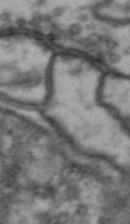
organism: Drosophila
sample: Brain